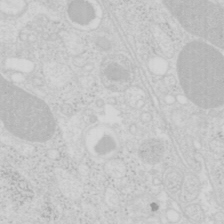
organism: Mouse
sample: Pancreas